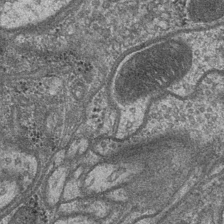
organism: Drosophila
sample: Optic medulla